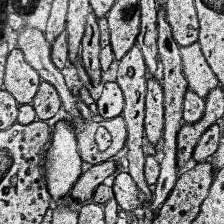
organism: Human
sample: Temporal Lobe